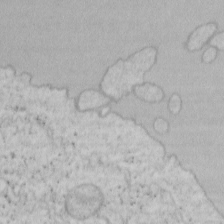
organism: Human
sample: HeLa cells